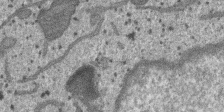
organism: Human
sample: Lung epithelial cells infected with SARS-CoV-2